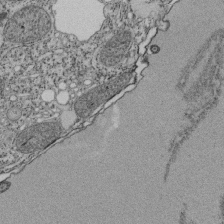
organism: Tetrahymena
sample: Cilia in tetrahymena